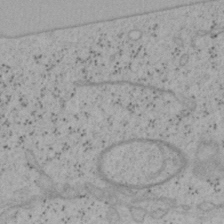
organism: Human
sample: HeLa cells